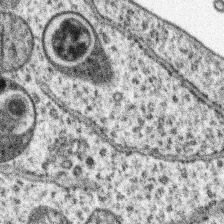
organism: Human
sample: HeLa cells